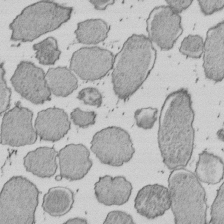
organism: E. coli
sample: Bacterial nucleoid